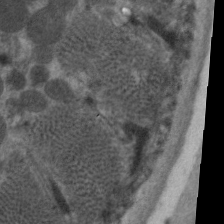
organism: C. elegans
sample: Pharynx